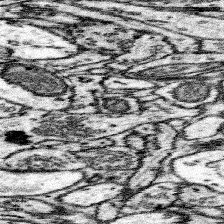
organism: Mouse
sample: Somatosensory cortex neuropil